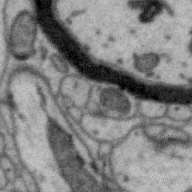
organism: Zebra finch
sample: Brain